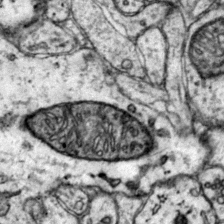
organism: Mouse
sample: Primary visual cortex